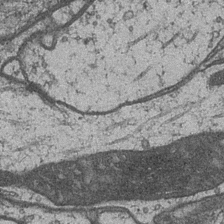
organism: Drosophila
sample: Optic medulla